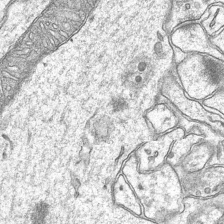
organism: Mouse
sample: CA1 Hippocampus